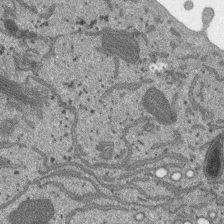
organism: Human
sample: Lung epithelial cells infected with SARS-CoV-2